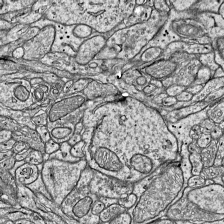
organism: Mouse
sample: Visual Cortex